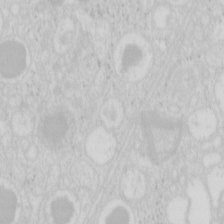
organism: Mouse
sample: Pancreas